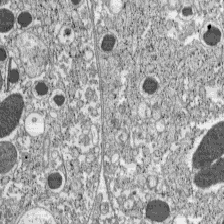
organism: C57BL Mouse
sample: Pancreatic islet